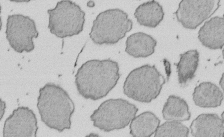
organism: E. coli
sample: Bacterial nucleoid